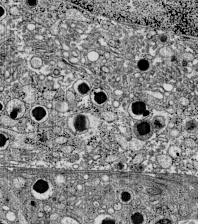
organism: C57BL Mouse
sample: Pancreatic islet